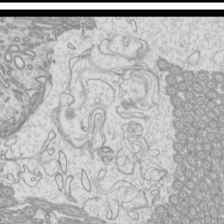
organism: Mouse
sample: Cilia; mouse epididymis